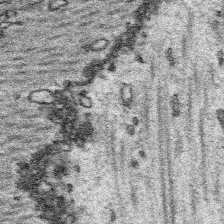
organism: Platynereis dumerilii